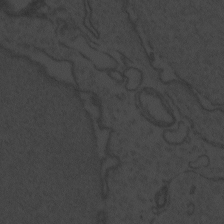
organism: Zebrafish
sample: Macrophage infected with Toxoplasma gondii